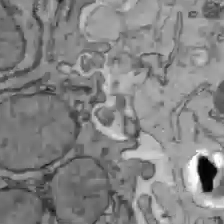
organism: C57BL Mouse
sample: Liver